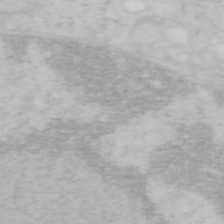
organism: Mouse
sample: OT-I killer T cells with ID8 ovarian cancer cells